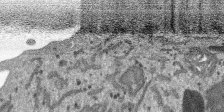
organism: Human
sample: Lung epithelial cells infected with SARS-CoV-2